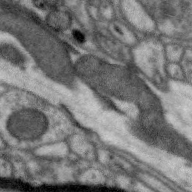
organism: Zebra finch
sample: Brain